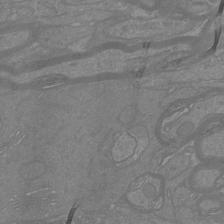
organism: Mouse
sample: Cortical neurons